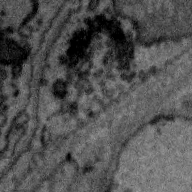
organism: Zebra finch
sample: Brain